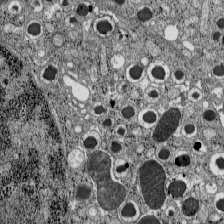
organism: C57BL Mouse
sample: Pancreatic islet